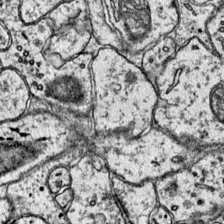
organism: Mouse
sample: Primary visual cortex